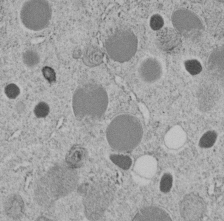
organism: C. elegans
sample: C. elegans embryo early stage